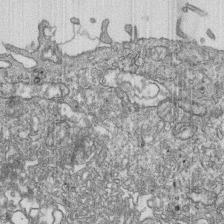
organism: Human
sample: HeLa cell HIV synapse